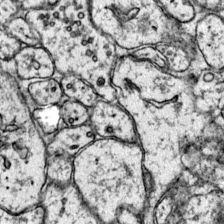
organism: Mouse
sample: Primary visual cortex